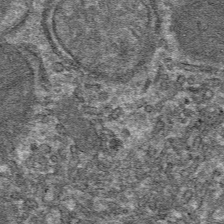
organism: Mouse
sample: Mouse hepatocytes